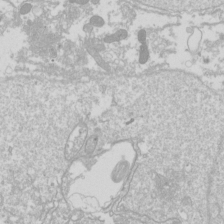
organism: Drosophila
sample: Cell division; meiosis; drosophila spermatocytes